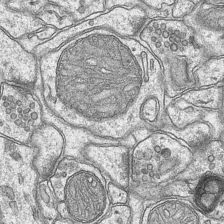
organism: Mouse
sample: CA1 Hippocampus